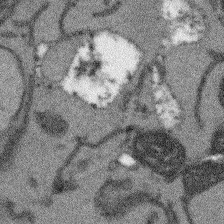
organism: Arabidopsis thaliana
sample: Root tip